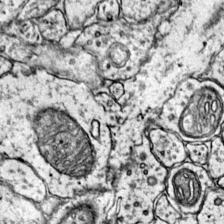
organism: Mouse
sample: Primary visual cortex